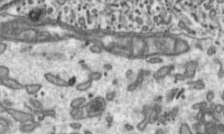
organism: Toxoplasma gondii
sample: Parasites in a vacuole inside a host cell